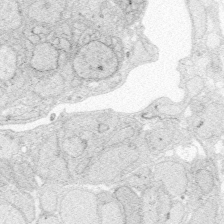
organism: Zebrafish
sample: Whole-Brain